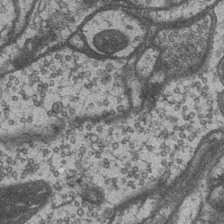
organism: Drosophila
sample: Optic medulla